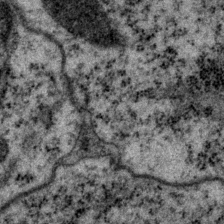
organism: P. pacificus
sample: Pharynx